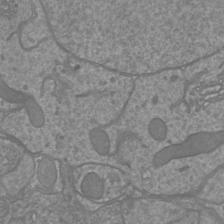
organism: Mouse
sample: Cortical neurons